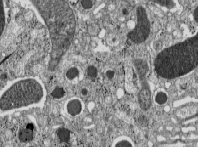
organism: C57BL Mouse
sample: Pancreatic islet